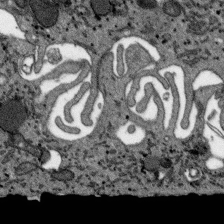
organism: Human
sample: Lung epithelial cells, uninfected (mock) control